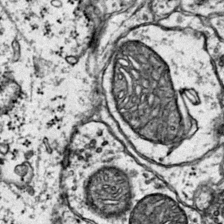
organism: Mouse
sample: Primary visual cortex